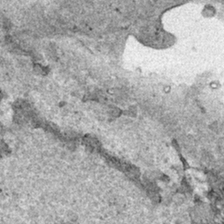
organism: Human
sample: Mitochondria in HCT116 cells